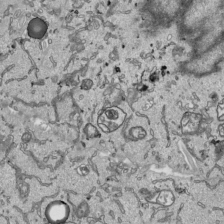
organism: Human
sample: Mitochondria in HCT116 cells